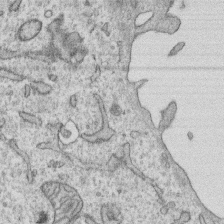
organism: Human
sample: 1205lu cells